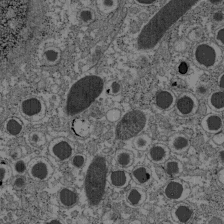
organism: C57BL Mouse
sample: Pancreatic islet